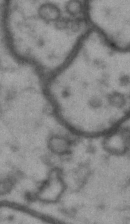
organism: Drosophila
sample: Brain